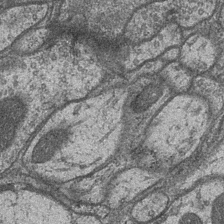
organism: Drosophila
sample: Optic medulla